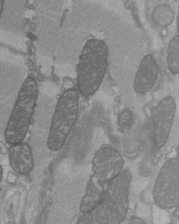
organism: C57BL Mouse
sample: Heart